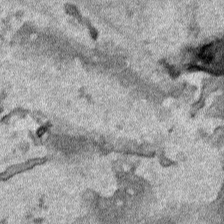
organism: Human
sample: Mitochondria in HCT116 cells